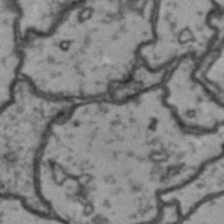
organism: Drosophila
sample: Brain